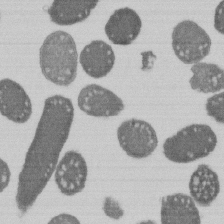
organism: E. coli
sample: Bacterial nucleoid